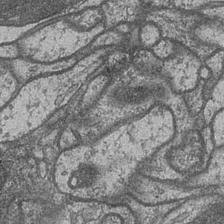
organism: Drosophila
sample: Optic medulla